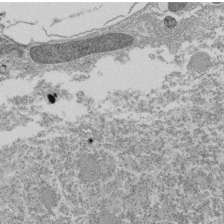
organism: Tetrahymena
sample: Cilia in tetrahymena